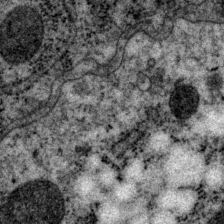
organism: P. pacificus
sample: Pharynx